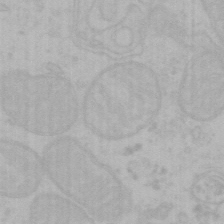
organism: Mouse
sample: Choroid plexus